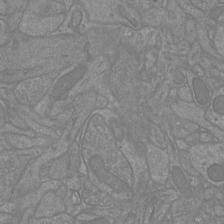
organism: Mouse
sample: Cortical neurons